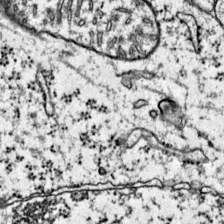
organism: Mouse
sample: Primary visual cortex